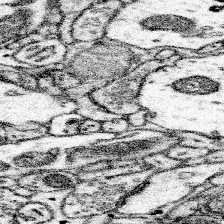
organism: Mouse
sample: Somatosensory cortex neuropil